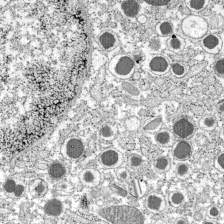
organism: C57BL Mouse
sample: Pancreatic islet